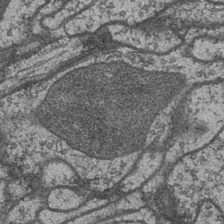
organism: Drosophila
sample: Optic medulla